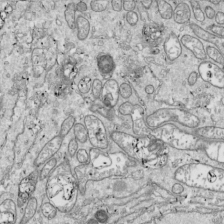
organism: Drosophila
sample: Cell division; meiosis; drosophila spermatocytes